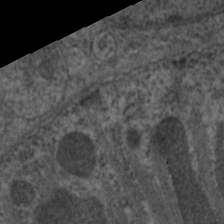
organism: C. elegans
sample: Pharynx